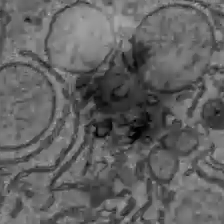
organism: C57BL Mouse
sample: Liver